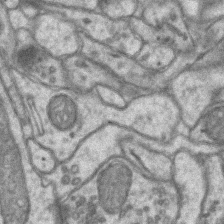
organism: Mouse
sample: CA1 Hippocampus